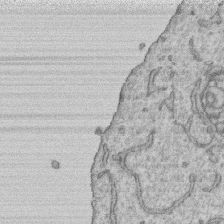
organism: Human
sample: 1205lu cells